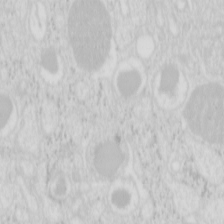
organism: Mouse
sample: Pancreas